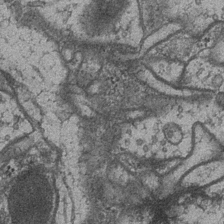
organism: Drosophila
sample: Optic medulla